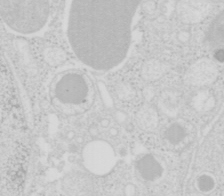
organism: Mouse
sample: Pancreas